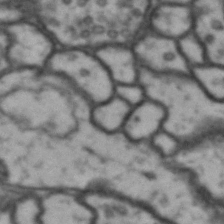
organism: Drosophila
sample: Brain